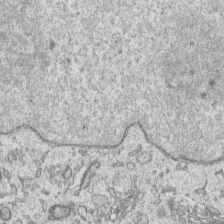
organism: Human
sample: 1205lu cells